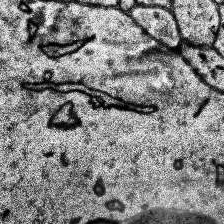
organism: Human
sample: Temporal Lobe